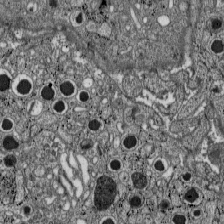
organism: C57BL Mouse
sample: Pancreatic islet